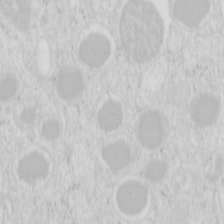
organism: Mouse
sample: Pancreas